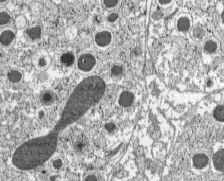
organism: C57BL Mouse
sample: Pancreatic islet